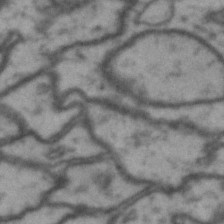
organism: Drosophila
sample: Brain